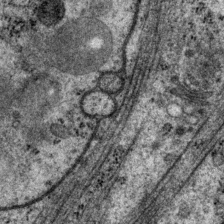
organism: P. pacificus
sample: Pharynx